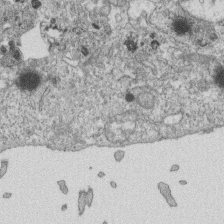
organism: Human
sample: HeLa cell HIV synapse